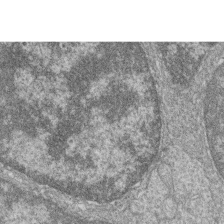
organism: Zebrafish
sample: Cilia; retinal pigment epithelium